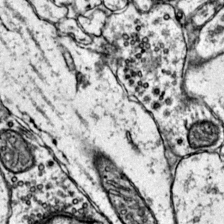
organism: Mouse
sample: Primary visual cortex